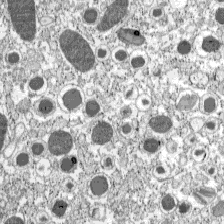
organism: C57BL Mouse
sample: Pancreatic islet